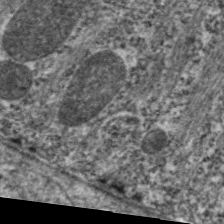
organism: C. elegans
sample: Pharynx